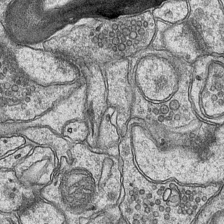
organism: Mouse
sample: CA1 Hippocampus